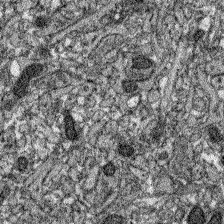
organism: Zebrafish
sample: Larval olfactory bulb